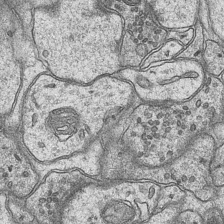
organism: Mouse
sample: CA1 Hippocampus